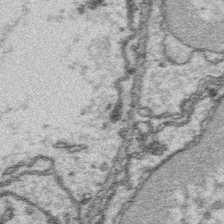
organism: Platynereis dumerilii